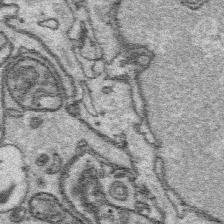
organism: Platynereis dumerilii